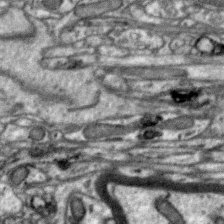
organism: Zebra finch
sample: Brain